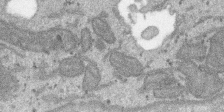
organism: Human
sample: Lung epithelial cells infected with SARS-CoV-2